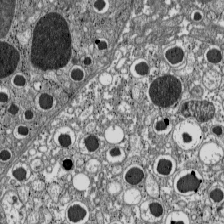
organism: C57BL Mouse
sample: Pancreatic islet